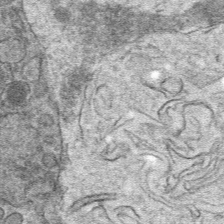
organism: Mouse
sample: Mouse hepatocytes